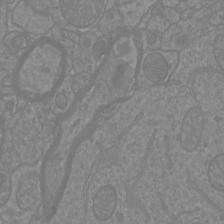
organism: Mouse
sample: Cortical neurons